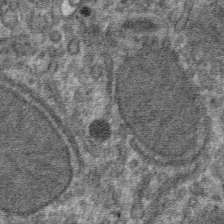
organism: Mouse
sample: Mouse hepatocytes